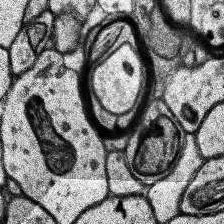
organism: Human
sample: Temporal Lobe